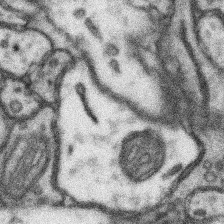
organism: Mouse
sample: Somatosensory cortex neuropil